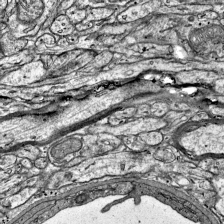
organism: Mouse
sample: Visual Cortex